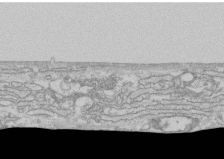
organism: Human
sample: CRL-1474